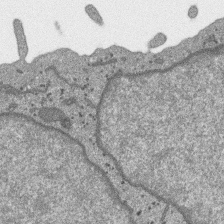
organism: Human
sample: Lung epithelial cells infected with SARS-CoV-2